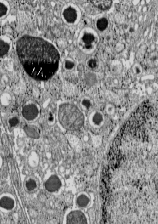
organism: C57BL Mouse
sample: Pancreatic islet